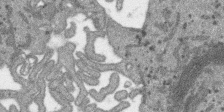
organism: Human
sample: Lung epithelial cells infected with SARS-CoV-2